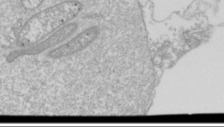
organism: Drosophila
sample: Cell division; meiosis; drosophila spermatocytes